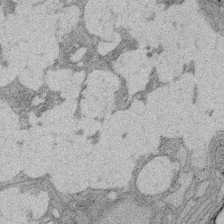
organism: Rat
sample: Salivary granule